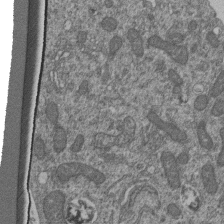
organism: Human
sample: Retinal organoid Rod and Cone cells